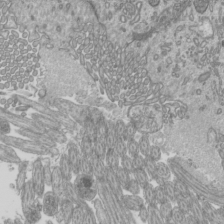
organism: Mouse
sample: Cilia; mouse epididymis